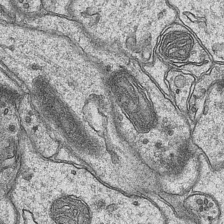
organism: Mouse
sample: CA1 Hippocampus